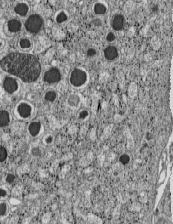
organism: C57BL Mouse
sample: Pancreatic islet